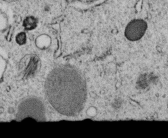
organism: C. elegans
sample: C. elegans embryo early stage